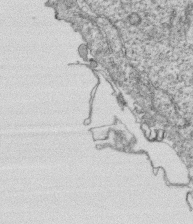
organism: Human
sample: HeLa cell HIV synapse